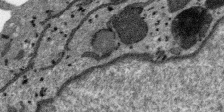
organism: Human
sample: Lung epithelial cells, uninfected (mock) control